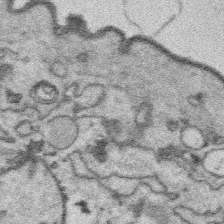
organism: Platynereis dumerilii